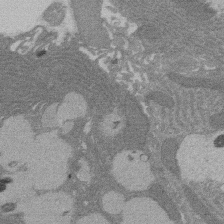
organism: Rat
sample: Salivary granule